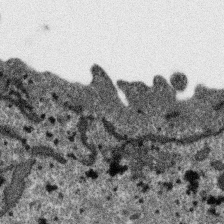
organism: Human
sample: Lung epithelial cells infected with SARS-CoV-2